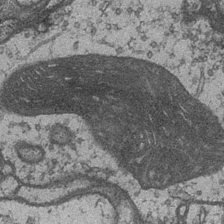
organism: Drosophila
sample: Optic medulla